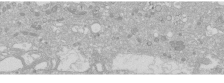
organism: Human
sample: Caco-2 cells